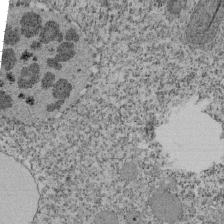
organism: Tetrahymena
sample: Cilia in tetrahymena